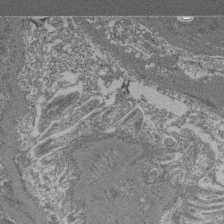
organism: Mouse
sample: Glomerulus